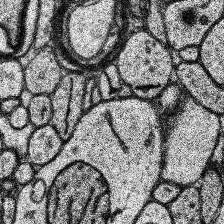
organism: Human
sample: Temporal Lobe